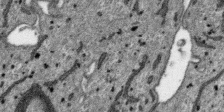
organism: Human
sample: Lung epithelial cells, uninfected (mock) control